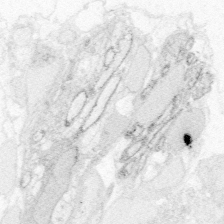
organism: Zebrafish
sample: Whole-Brain